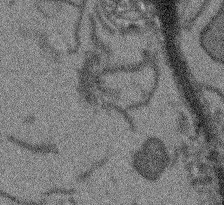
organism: Arabidopsis thaliana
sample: Root tip